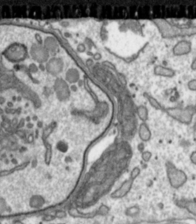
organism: Toxoplasma gondii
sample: Parasites in a vacuole inside a host cell